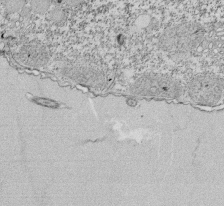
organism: Tetrahymena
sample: Cilia in tetrahymena